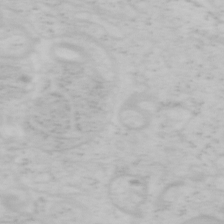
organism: Mouse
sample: OT-I killer T cells with ID8 ovarian cancer cells